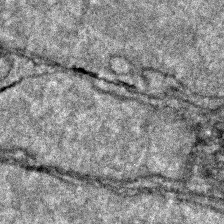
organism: Zebrafish